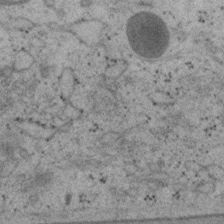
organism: Human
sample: HeLa cells